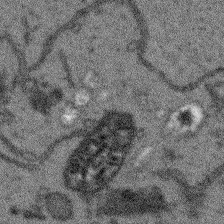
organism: Arabidopsis thaliana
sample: Root tip